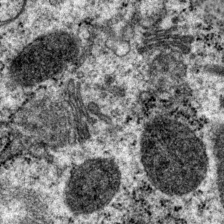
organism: P. pacificus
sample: Pharynx